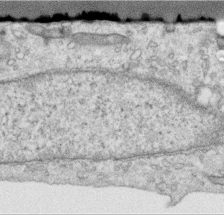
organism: Human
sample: Centriole in RPE cells